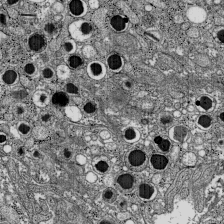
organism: C57BL Mouse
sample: Pancreatic islet